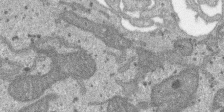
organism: Human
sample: Lung epithelial cells infected with SARS-CoV-2